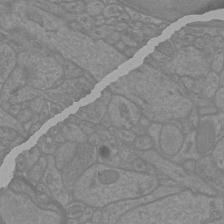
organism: Mouse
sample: Cortical neurons